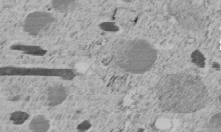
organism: C. elegans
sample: C. elegans embryo early stage